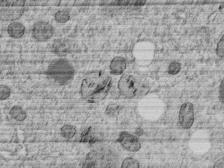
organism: C. elegans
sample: C. elegans embryo early stage